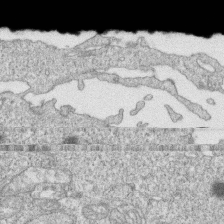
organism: Human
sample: HeLa cell HIV synapse